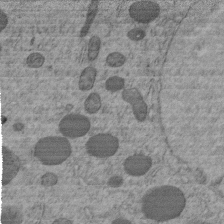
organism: C. elegans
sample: C. elegans embryo early stage